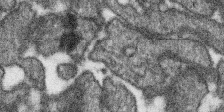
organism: Human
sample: Lung epithelial cells infected with SARS-CoV-2